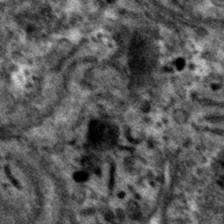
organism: Mouse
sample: Mouse hepatocytes